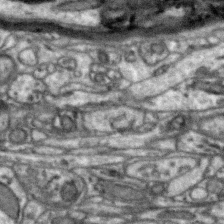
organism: Zebra finch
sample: Brain